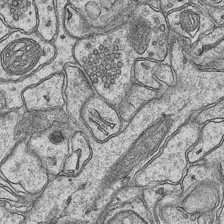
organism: Mouse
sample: CA1 Hippocampus